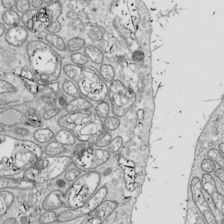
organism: Drosophila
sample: Cell division; meiosis; drosophila spermatocytes